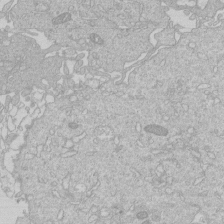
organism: Human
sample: Macrophage cells